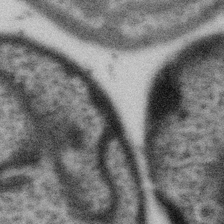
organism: Gemmata obscuriglobus